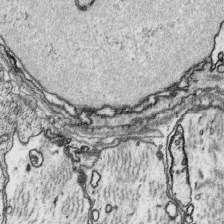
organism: Platynereis dumerilii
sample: Parapodia